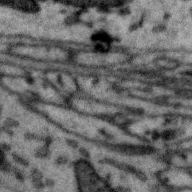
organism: Zebra finch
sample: Brain